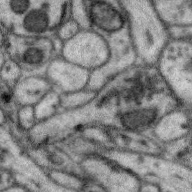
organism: Zebra finch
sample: Brain